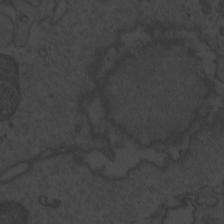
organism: Zebrafish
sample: Macrophage infected with Toxoplasma gondii